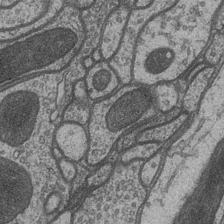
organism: Drosophila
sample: Optic medulla